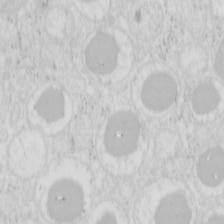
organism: Mouse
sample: Pancreas